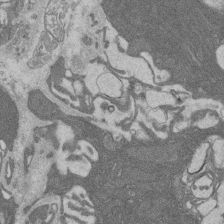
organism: Rat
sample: Salivary granule